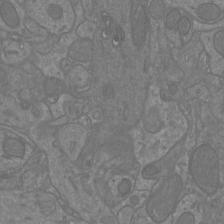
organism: Mouse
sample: Cortical neurons